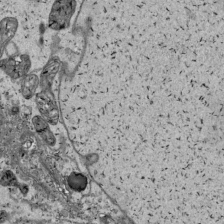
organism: Human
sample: Mitochondria in HCT116 cells